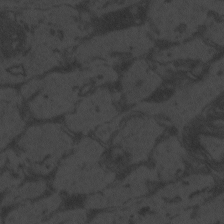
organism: Zebrafish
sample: Macrophage infected with Toxoplasma gondii